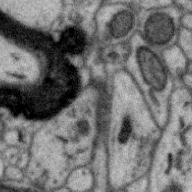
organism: Zebra finch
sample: Brain